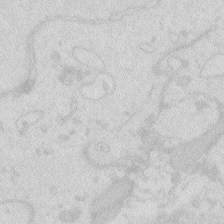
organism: Zebrafish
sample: Macrophage